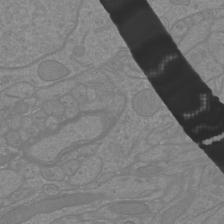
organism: Mouse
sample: Cortical neurons